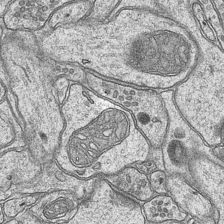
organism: Mouse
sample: CA1 Hippocampus